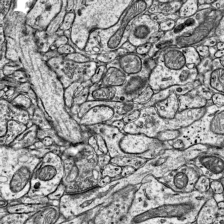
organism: Mouse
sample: Visual Cortex